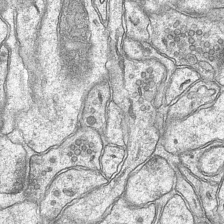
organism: Mouse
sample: CA1 Hippocampus